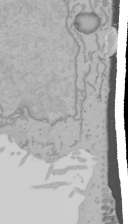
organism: Mouse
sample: Cancer cell death in ED-1 cells